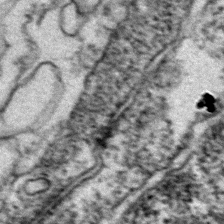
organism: Zebrafish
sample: Zebrafish embryo